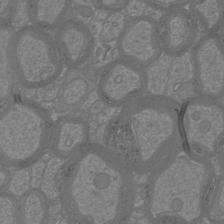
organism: Mouse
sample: Cortical neurons